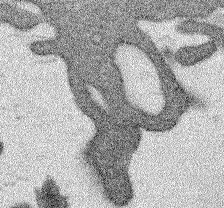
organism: Human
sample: HeLa cells